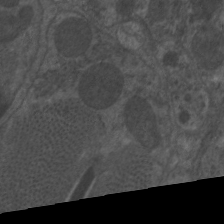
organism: C. elegans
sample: Pharynx